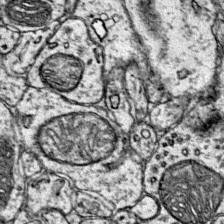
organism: Mouse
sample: Primary visual cortex